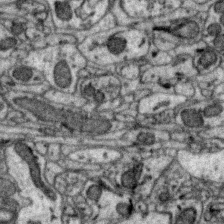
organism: Zebra finch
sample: Brain